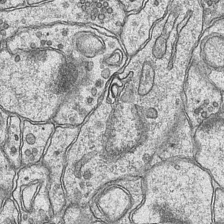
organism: Mouse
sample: CA1 Hippocampus